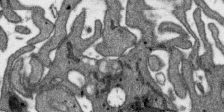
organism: Human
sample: Lung epithelial cells, uninfected (mock) control